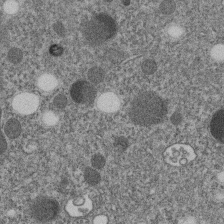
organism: C. elegans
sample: C. elegans embryo early stage